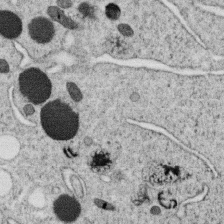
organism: C. elegans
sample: C. elegans oocyte; sperm cells